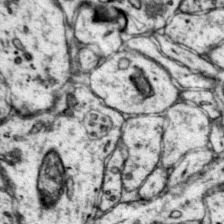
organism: Mouse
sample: Primary visual cortex